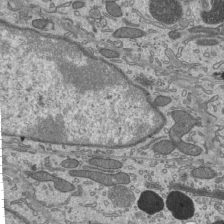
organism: Mouse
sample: Mouse epididymis efferent ductule cilia